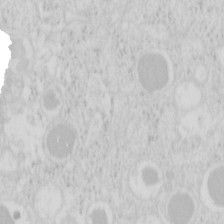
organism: Mouse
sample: Pancreas